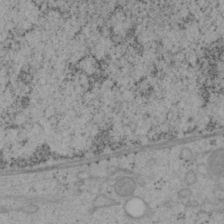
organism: Human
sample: HeLa cells